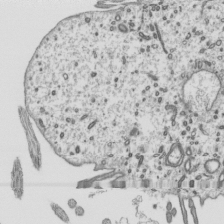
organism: Mouse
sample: Mouse epididymis efferent ductule cilia